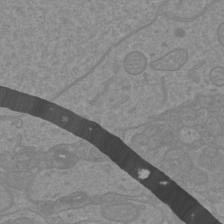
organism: Mouse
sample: Cortical neurons